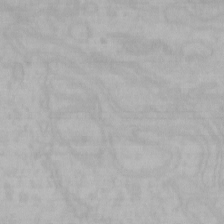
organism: Mouse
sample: Choroid plexus